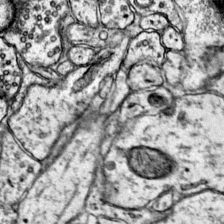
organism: Mouse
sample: Primary visual cortex